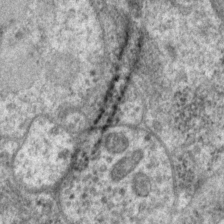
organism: P. pacificus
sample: Pharynx